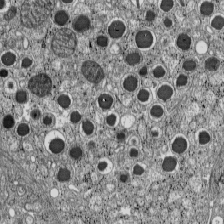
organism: C57BL Mouse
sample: Pancreatic islet